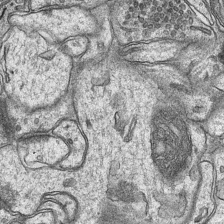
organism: Mouse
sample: CA1 Hippocampus